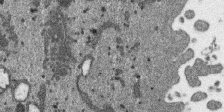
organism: Human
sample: Lung epithelial cells infected with SARS-CoV-2